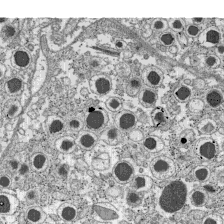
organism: C57BL Mouse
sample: Pancreatic islet